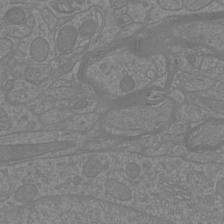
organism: Mouse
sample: Cortical neurons